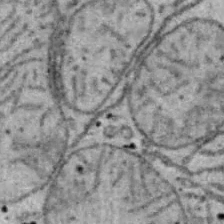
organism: Mouse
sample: Liver from an obese (ob/ob) mouse